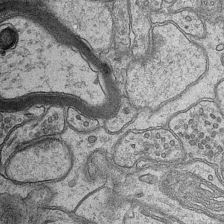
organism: Mouse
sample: CA1 Hippocampus